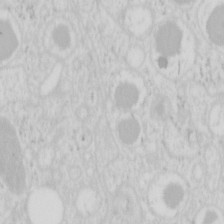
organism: Mouse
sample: Pancreas